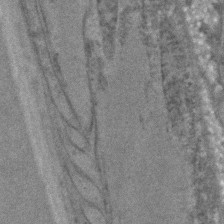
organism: C. elegans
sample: C. elegans embryo